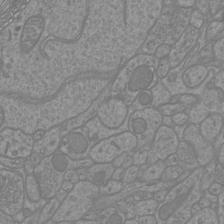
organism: Mouse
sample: Cortical neurons